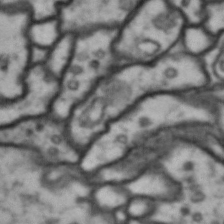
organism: Drosophila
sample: Brain